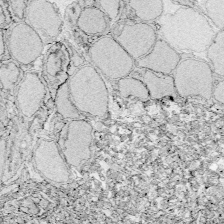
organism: Zebrafish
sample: Whole-Brain